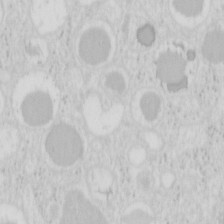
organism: Mouse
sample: Pancreas